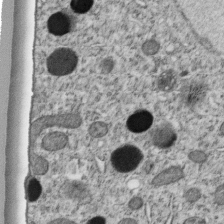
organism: C. elegans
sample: C. elegans embryo early stage